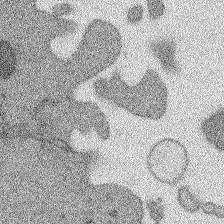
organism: Human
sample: HeLa cells